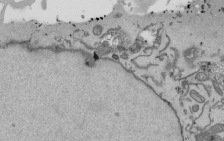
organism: Mouse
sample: ED-1 cell nuclei; centrioles